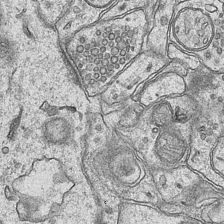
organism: Mouse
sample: CA1 Hippocampus